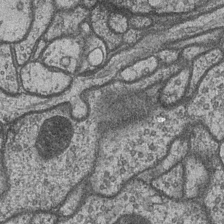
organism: Drosophila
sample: Optic medulla